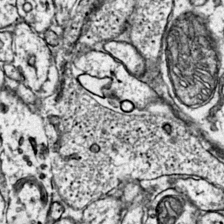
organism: Mouse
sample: Primary visual cortex